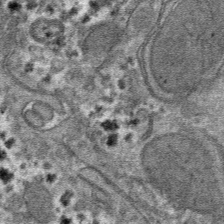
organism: Mouse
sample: Mouse hepatocytes